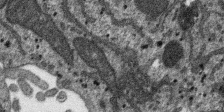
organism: Human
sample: Lung epithelial cells infected with SARS-CoV-2